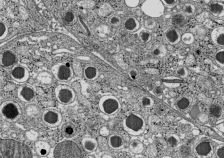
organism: C57BL Mouse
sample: Pancreatic islet